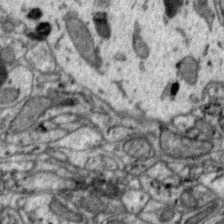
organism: Zebra finch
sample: Brain